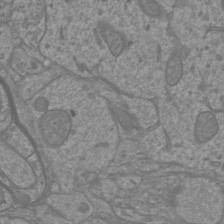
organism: Mouse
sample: Cortical neurons